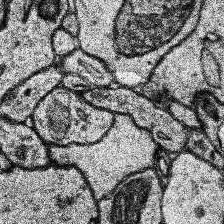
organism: Human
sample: Temporal Lobe